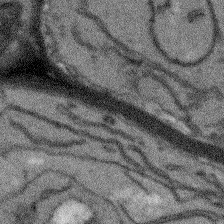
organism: Arabidopsis thaliana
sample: Root tip